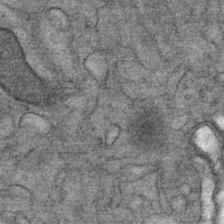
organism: Mouse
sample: Mouse Salivary gland